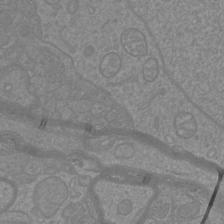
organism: Mouse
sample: Cortical neurons